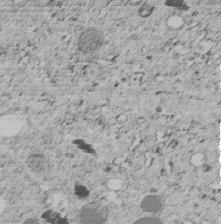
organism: C. elegans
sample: C. elegans embryo early stage